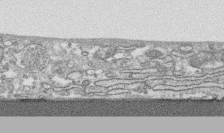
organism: Human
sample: CRL-1474